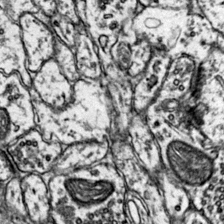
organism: Mouse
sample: Primary visual cortex